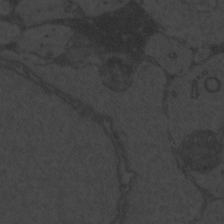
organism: Zebrafish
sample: Macrophage infected with Toxoplasma gondii